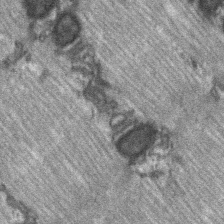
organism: C57BL Mouse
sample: Soleus